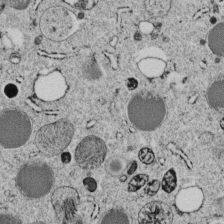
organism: C. elegans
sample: C. elegans embryo early stage